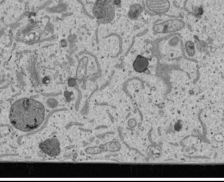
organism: Human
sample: Mitochondria in U2OS cells